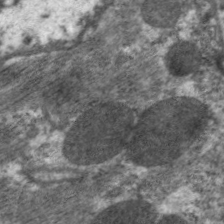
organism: C. elegans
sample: Pharynx